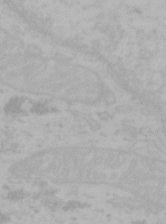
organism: Mouse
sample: Choroid plexus